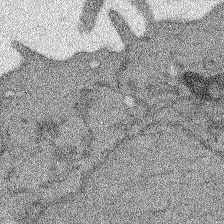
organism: Human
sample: HeLa cells